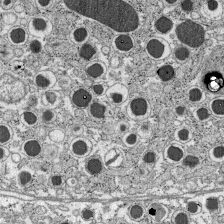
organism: C57BL Mouse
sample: Pancreatic islet